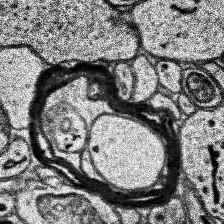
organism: Human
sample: Temporal Lobe